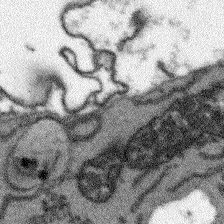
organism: Arabidopsis thaliana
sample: Root tip